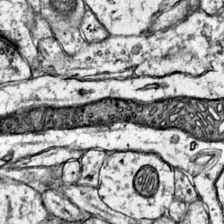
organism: Mouse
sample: Primary visual cortex